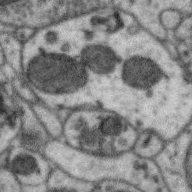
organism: Zebra finch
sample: Brain